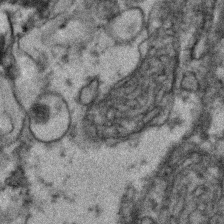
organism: Zebrafish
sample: Zebrafish embryo